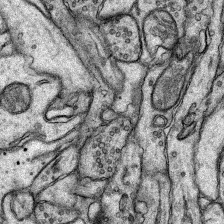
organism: Rat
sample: Hippocampus